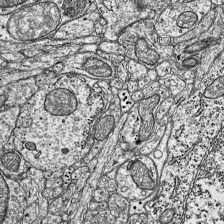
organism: Mouse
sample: Visual Cortex